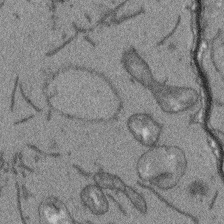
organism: Arabidopsis thaliana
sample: Root tip